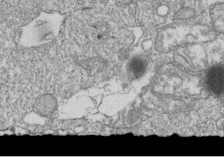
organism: Human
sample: HeLa cell HIV synapse